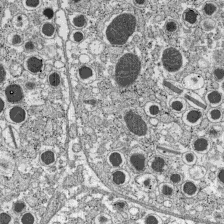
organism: C57BL Mouse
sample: Pancreatic islet